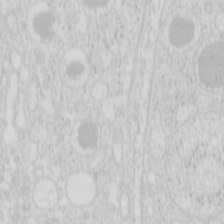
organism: Mouse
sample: Pancreas